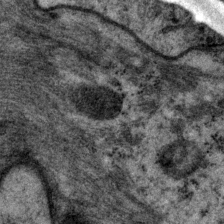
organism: P. pacificus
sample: Pharynx